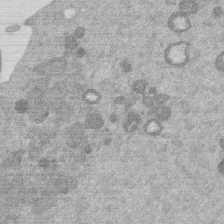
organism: Mouse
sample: Dividing mouse embryo 1 cell stage